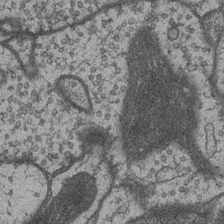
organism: Drosophila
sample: Optic medulla